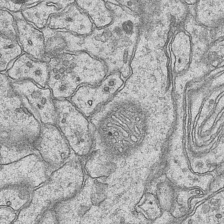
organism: Mouse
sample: CA1 Hippocampus